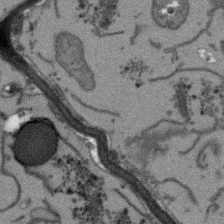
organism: Arabidopsis thaliana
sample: Root tip